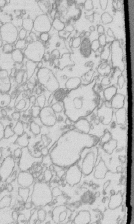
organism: Mouse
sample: Macrophages